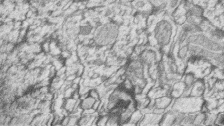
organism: Zebrafish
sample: synaptic ribbons in rod cells and cone cells